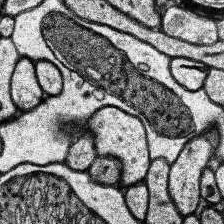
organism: Human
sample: Temporal Lobe